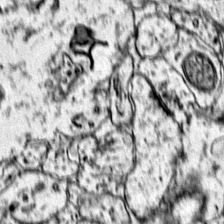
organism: Mouse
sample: Primary visual cortex